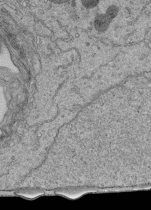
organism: Human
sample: Retinal organoid Rod and Cone cells